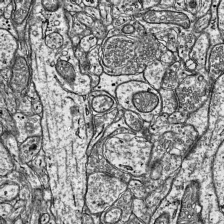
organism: Mouse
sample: Visual Cortex